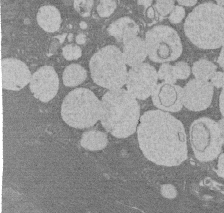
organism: Rat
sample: Salivary granule